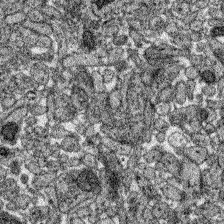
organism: Zebrafish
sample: Larval olfactory bulb